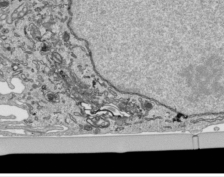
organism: Human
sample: Mitochondria in HCT116 cells